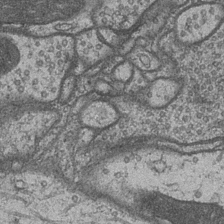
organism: Drosophila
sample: Optic medulla